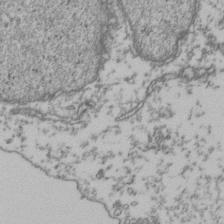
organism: Human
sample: Activated Jurkat CD4+ T cells